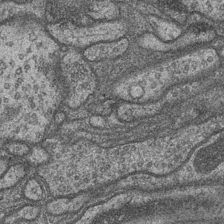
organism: Drosophila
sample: Optic medulla